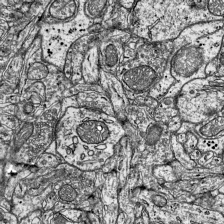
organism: Mouse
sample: Visual Cortex